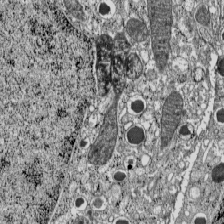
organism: C57BL Mouse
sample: Pancreatic islet